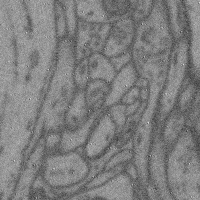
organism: Mouse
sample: Cerebral cortex